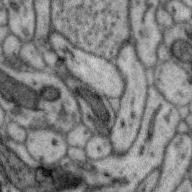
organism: Zebra finch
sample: Brain